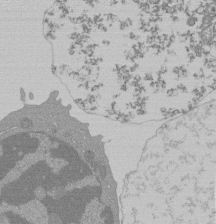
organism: Mouse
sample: Activated Pmel transgenic CD8+ T Cells